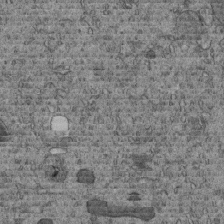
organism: C. elegans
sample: C. elegans embryo early stage